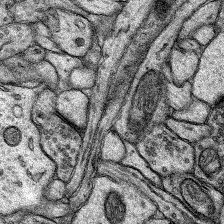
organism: Rat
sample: Hippocampus